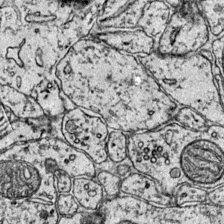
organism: Mouse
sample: Primary visual cortex